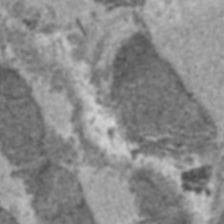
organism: C57BL Mouse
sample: Heart